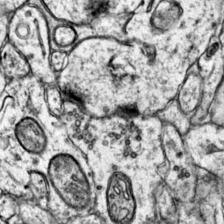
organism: Mouse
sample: Primary visual cortex